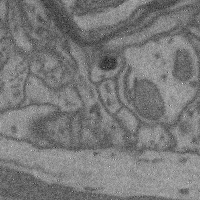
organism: Mouse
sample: Cerebral cortex